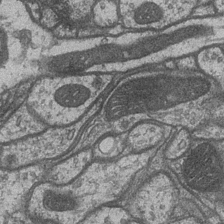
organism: Drosophila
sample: Optic medulla